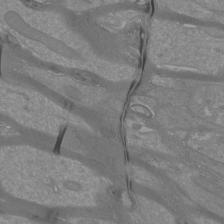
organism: Mouse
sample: Cortical neurons